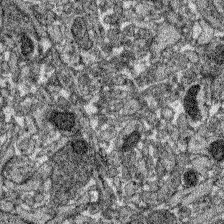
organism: Zebrafish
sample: Larval olfactory bulb